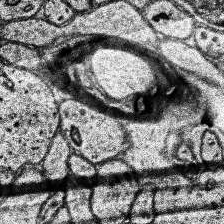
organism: Human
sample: Temporal Lobe